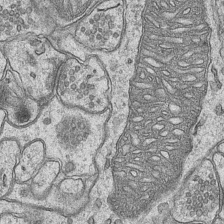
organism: Mouse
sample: CA1 Hippocampus